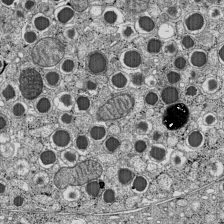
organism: C57BL Mouse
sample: Pancreatic islet